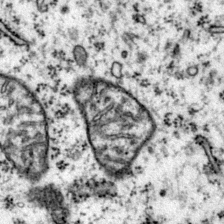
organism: Mouse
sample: Primary visual cortex